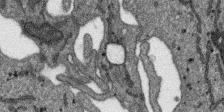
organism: Human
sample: Lung epithelial cells infected with SARS-CoV-2